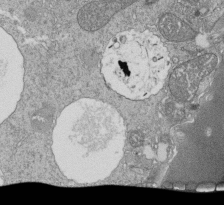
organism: Tetrahymena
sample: Cilia in tetrahymena